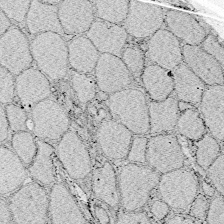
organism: Zebrafish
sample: Whole-Brain